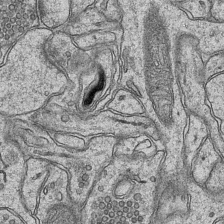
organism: Mouse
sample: CA1 Hippocampus